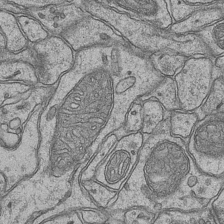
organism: Mouse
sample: CA1 Hippocampus